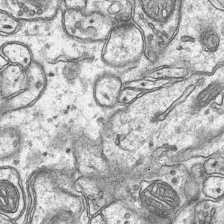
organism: Mouse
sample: CA1 Hippocampus